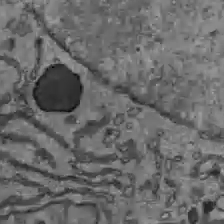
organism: C57BL Mouse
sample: Liver